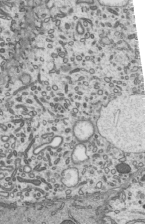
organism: Mouse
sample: Mouse epididymis efferent ductule cilia